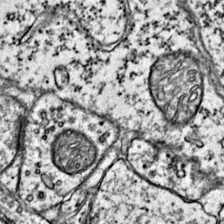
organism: Mouse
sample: Primary visual cortex